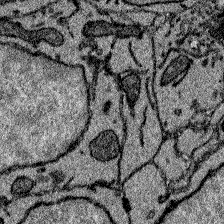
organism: Zebrafish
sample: Larval olfactory bulb